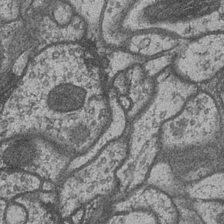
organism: Drosophila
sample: Optic medulla